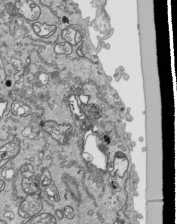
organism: Human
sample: Mitochondria in HCT116 cells